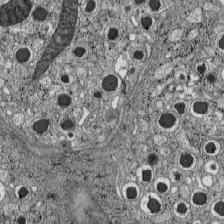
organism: C57BL Mouse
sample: Pancreatic islet